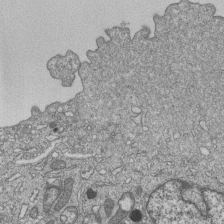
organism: Human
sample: MDA-MB-231 cells